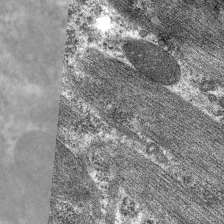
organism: C. elegans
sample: Pharynx